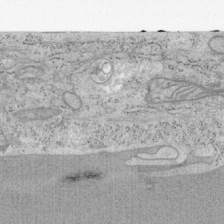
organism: Human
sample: HeLa cells